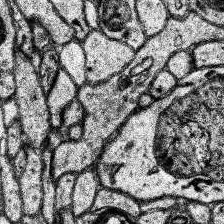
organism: Human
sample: Temporal Lobe